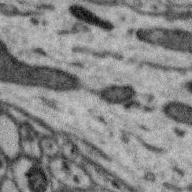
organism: Zebra finch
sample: Brain